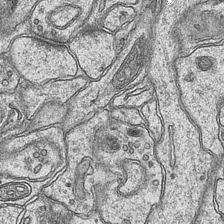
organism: Mouse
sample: CA1 Hippocampus